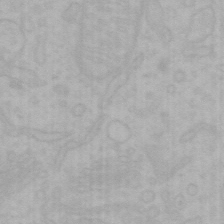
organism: Mouse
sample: Choroid plexus